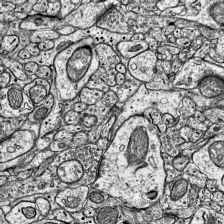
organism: Mouse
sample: Visual Cortex